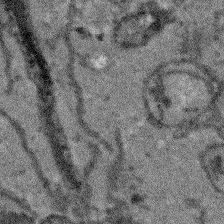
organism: Arabidopsis thaliana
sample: Root tip